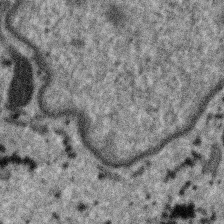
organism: Human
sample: Lung epithelial cells infected with SARS-CoV-2